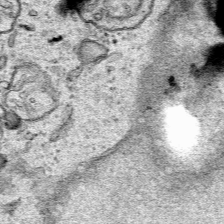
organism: Human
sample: Mitochondria in HCT116 cells